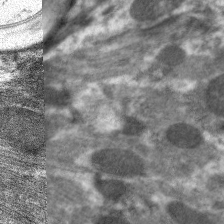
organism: C. elegans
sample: Pharynx